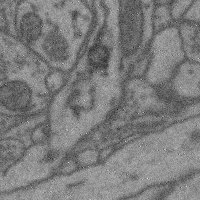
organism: Mouse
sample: Cerebral cortex